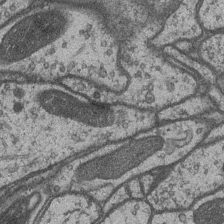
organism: Drosophila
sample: Optic medulla